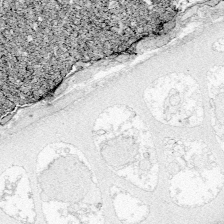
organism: Zebrafish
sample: Whole-Brain